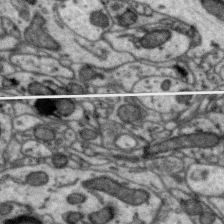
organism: Zebra finch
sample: Brain